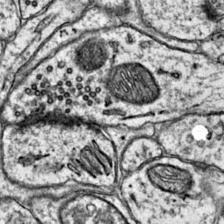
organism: Mouse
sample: Primary visual cortex